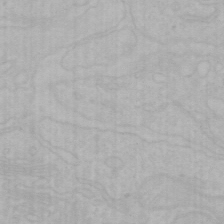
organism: Mouse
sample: Choroid plexus